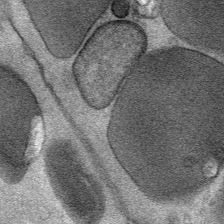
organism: Mouse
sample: Mouse Salivary gland